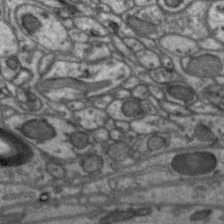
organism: Zebra finch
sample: Brain